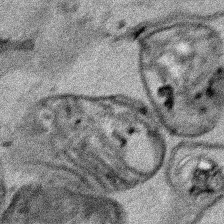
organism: Human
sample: Mitochondria in HCT116 cells